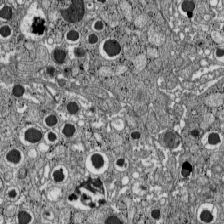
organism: C57BL Mouse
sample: Pancreatic islet